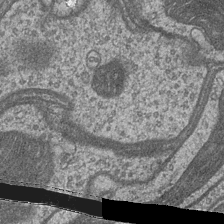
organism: Drosophila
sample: Optic medulla